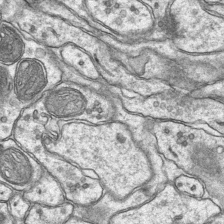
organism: Mouse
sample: CA1 Hippocampus